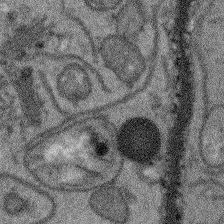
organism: Arabidopsis thaliana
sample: Root tip